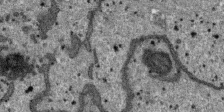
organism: Human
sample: Lung epithelial cells, uninfected (mock) control